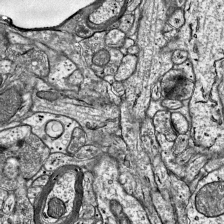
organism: Mouse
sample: Visual Cortex